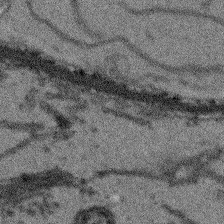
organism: Arabidopsis thaliana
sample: Root tip